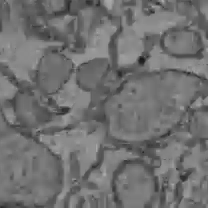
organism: C57BL Mouse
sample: Liver